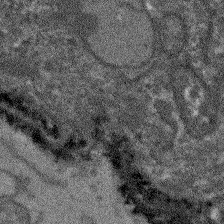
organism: Arabidopsis thaliana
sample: Root tip